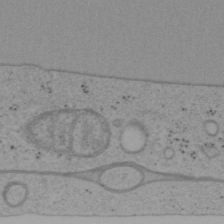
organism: Human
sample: HeLa cells